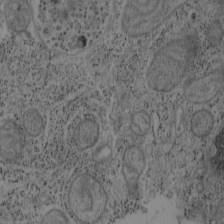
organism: Mouse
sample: OT-I killer T cells with ID8 ovarian cancer cells